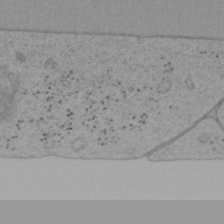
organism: Human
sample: HeLa cells